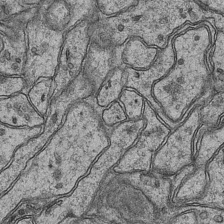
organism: Mouse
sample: CA1 Hippocampus